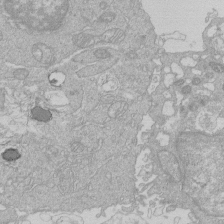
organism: Human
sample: Macrophage cells